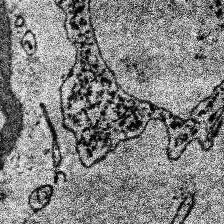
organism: Human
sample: Temporal Lobe